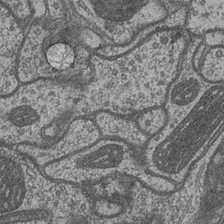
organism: Drosophila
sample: Optic medulla